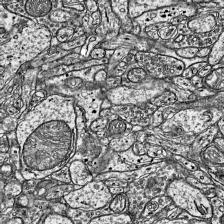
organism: Mouse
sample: Visual Cortex